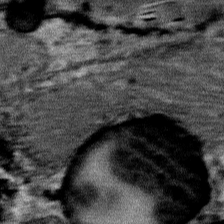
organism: Mouse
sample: Mouse Salivary gland